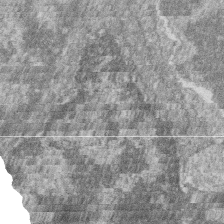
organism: Zebrafish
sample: Cilia; retinal pigment epithelium